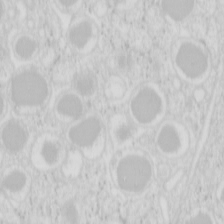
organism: Mouse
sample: Pancreas